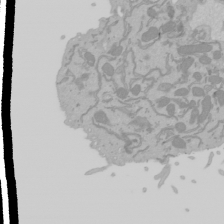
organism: Mouse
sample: Cancer cell death in ED-1 cells